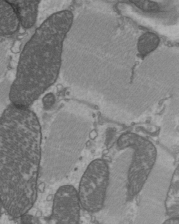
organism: C57BL Mouse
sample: Heart